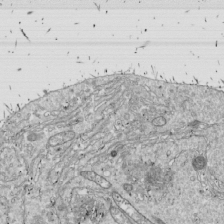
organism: Drosophila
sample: Cell division; meiosis; drosophila spermatocytes